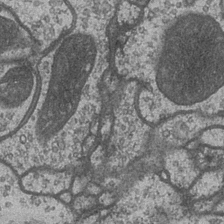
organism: Drosophila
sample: Optic medulla